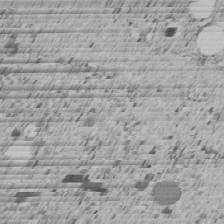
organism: C. elegans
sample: C. elegans embryo early stage